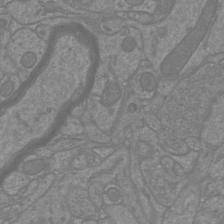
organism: Mouse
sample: Cortical neurons